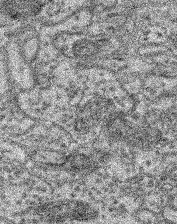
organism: Mouse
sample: Retina